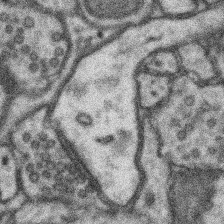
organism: Mouse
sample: Somatosensory cortex neuropil